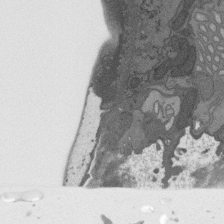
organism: C. elegans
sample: AFD neurons C. elegans